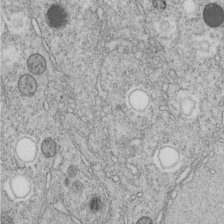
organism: C. elegans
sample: C. elegans embryo early stage